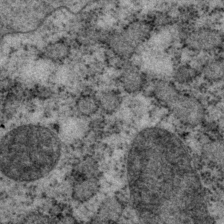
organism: P. pacificus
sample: Pharynx